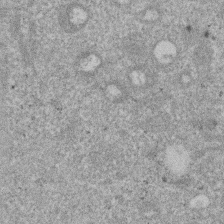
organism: Mouse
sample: Dividing mouse embryo 1 cell stage